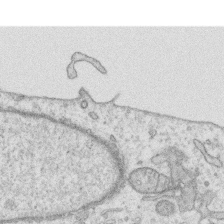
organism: Human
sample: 1205lu cells